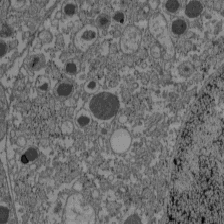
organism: C57BL Mouse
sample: Pancreatic islet